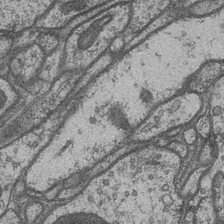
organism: Drosophila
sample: Optic medulla